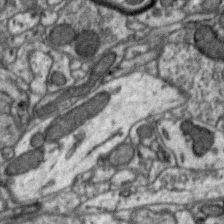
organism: Zebra finch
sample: Brain